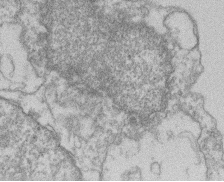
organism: Mouse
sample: T cell stromal cell synapse